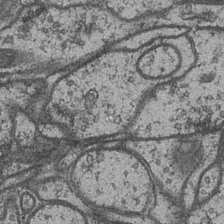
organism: Drosophila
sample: Optic medulla